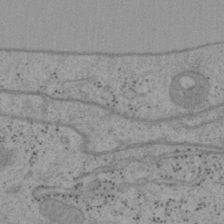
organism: Human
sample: HeLa cells